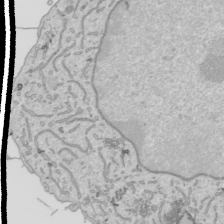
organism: Human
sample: Mitochondria in HCT116 cells